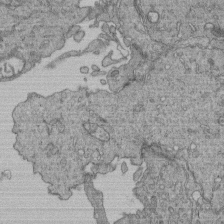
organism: Human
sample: Retinal organoid Rod and Cone cells